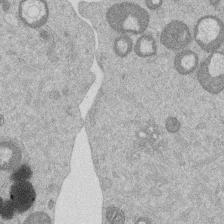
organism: Mouse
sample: Dividing mouse embryo 1 cell stage